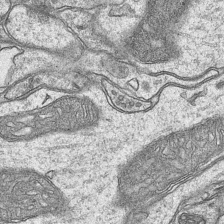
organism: Mouse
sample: CA1 Hippocampus